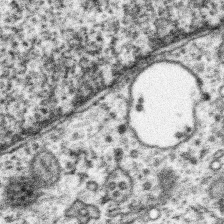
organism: Human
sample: HeLa cells